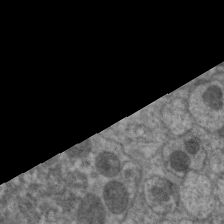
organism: C. elegans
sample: Pharynx